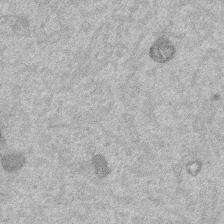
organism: Mouse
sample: Dividing mouse embryo 1 cell stage